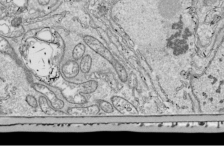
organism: Drosophila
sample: Cell division; meiosis; drosophila spermatocytes